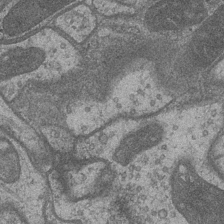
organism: Drosophila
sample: Optic medulla